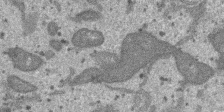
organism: Human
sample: Lung epithelial cells infected with SARS-CoV-2